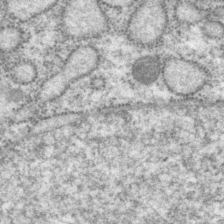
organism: P. pacificus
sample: Pharynx